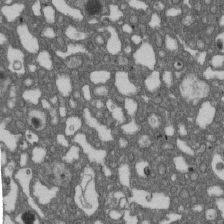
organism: Drosophila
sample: Nephrocyte